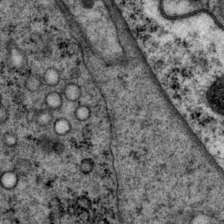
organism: P. pacificus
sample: Pharynx